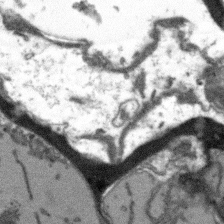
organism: Arabidopsis thaliana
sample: Root tip